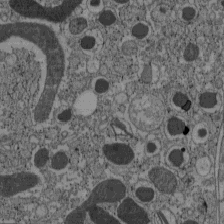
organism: C57BL Mouse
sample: Pancreatic islet